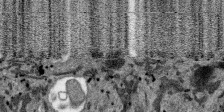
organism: Human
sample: Lung epithelial cells, uninfected (mock) control